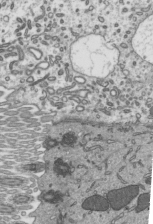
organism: Mouse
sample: Mouse epididymis efferent ductule cilia